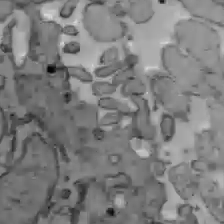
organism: C57BL Mouse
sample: Liver